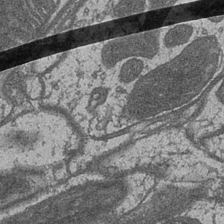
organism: Drosophila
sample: Optic medulla